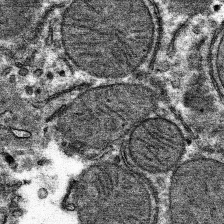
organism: Mouse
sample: Mouse hepatocytes